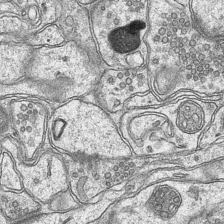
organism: Mouse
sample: CA1 Hippocampus